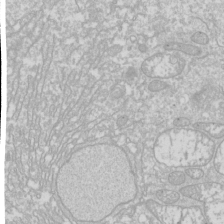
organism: Drosophila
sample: Cell division; meiosis; drosophila spermatocytes